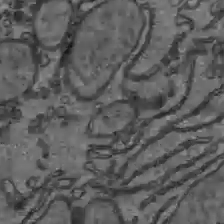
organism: C57BL Mouse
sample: Liver